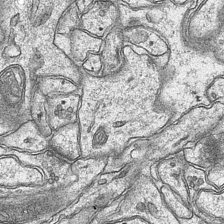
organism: Mouse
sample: CA1 Hippocampus